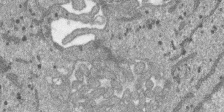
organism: Human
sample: Lung epithelial cells infected with SARS-CoV-2